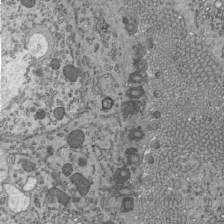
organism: Mouse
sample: Mouse epididymis efferent ductule cilia